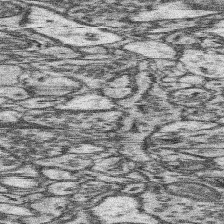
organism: Mouse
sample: Somatosensory cortex neuropil